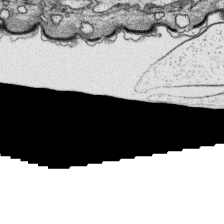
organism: Platynereis dumerilii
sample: Parapodia